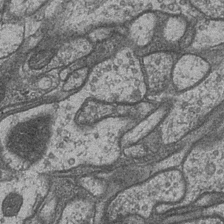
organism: Drosophila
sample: Optic medulla